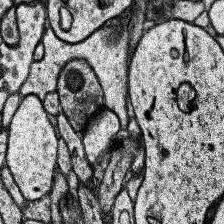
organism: Human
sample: Temporal Lobe